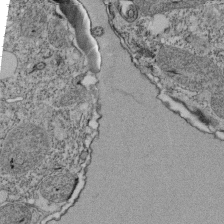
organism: Tetrahymena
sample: Cilia in tetrahymena